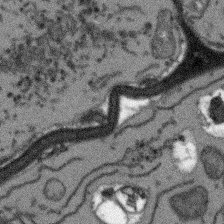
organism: Arabidopsis thaliana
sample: Root tip